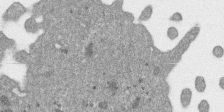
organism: Human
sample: Lung epithelial cells infected with SARS-CoV-2